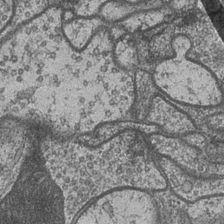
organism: Drosophila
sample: Optic medulla